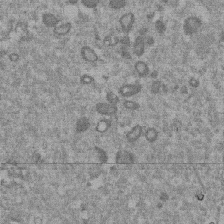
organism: Mouse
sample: Dividing mouse embryo 1 cell stage